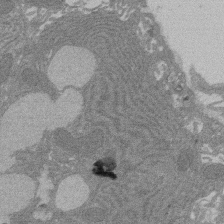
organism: Rat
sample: Salivary granule